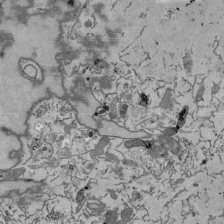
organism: Mouse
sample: ED-1 cell nuclei; centrioles